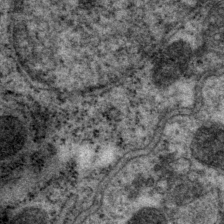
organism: P. pacificus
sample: Pharynx